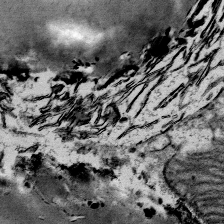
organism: Mouse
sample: Mouse Salivary gland